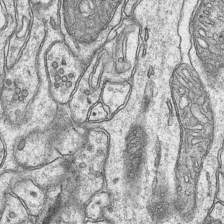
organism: Mouse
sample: CA1 Hippocampus